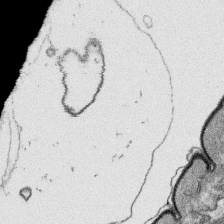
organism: Platynereis dumerilii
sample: Parapodia